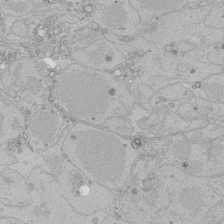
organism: Human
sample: Caco-2 cells